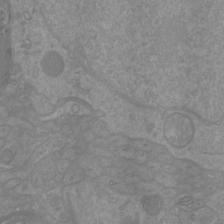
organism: Mouse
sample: Cortical neurons